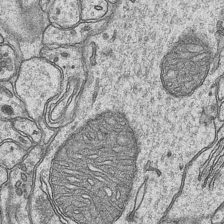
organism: Mouse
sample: CA1 Hippocampus